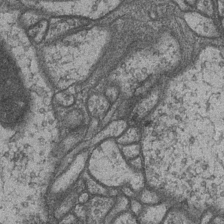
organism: Drosophila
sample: Optic medulla